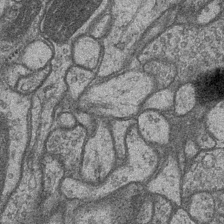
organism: Drosophila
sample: Optic medulla